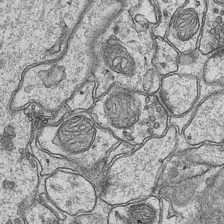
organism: Mouse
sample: CA1 Hippocampus